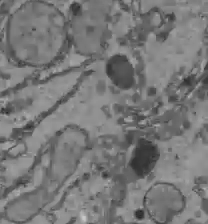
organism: C57BL Mouse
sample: Liver